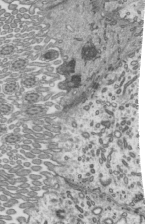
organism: Mouse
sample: Mouse epididymis efferent ductule cilia